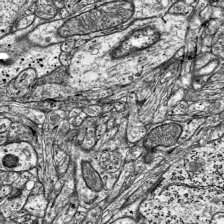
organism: Mouse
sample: Visual Cortex